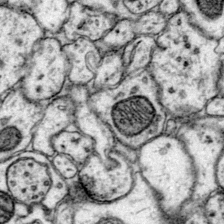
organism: Mouse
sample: Primary visual cortex